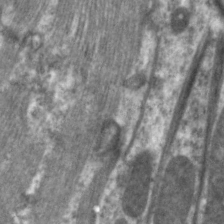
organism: C. elegans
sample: Pharynx